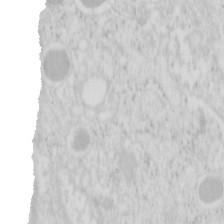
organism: Mouse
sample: Pancreas